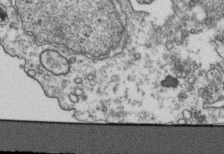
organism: Human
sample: Activated Jurkat CD4+ T cells